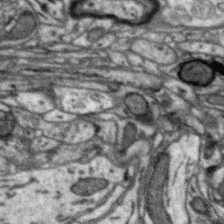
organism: Zebra finch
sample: Brain